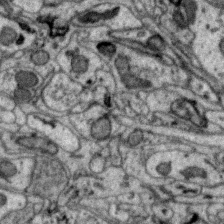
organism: Zebra finch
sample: Brain